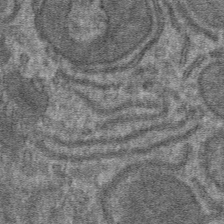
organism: Mouse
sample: Mouse hepatocytes